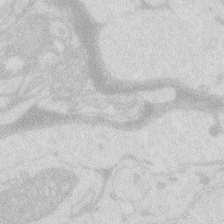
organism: Zebrafish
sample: Macrophage